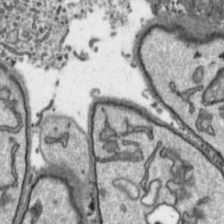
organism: Toxoplasma gondii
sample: Parasites in a vacuole inside a host cell